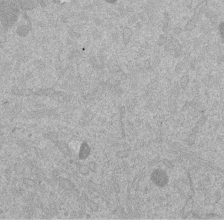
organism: Mouse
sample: Dividing mouse embryo 1 cell stage